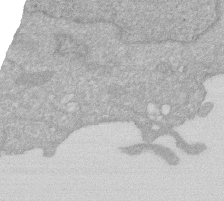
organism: Human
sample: HIV infected U937 cells